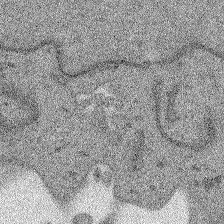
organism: Human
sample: HeLa cells